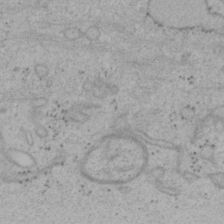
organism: Human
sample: HeLa cells